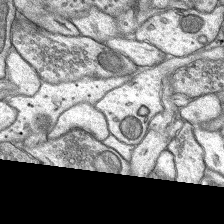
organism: Rat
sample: Hippocampus